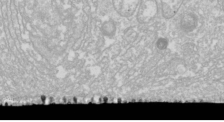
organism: Drosophila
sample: Cell division; meiosis; drosophila spermatocytes